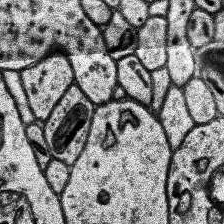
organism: Human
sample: Temporal Lobe